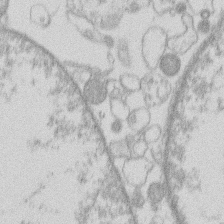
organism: Human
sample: Macrophage cells